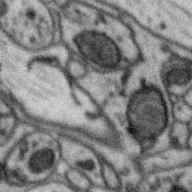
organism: Zebra finch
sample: Brain